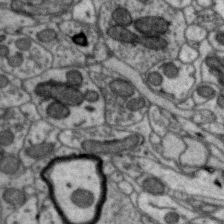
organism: Zebra finch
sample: Brain